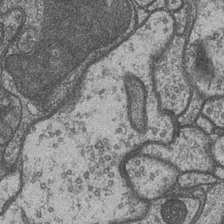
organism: Drosophila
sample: Optic medulla